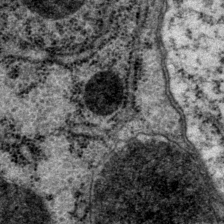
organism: P. pacificus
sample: Pharynx